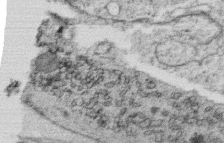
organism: C. elegans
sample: C. elegans oocyte; sperm cells